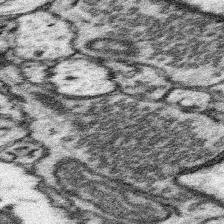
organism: Mouse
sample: Somatosensory cortex neuropil